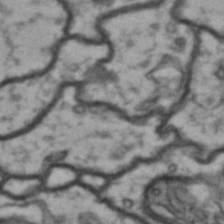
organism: Drosophila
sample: Brain